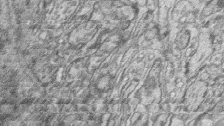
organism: Zebrafish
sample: synaptic ribbons in rod cells and cone cells